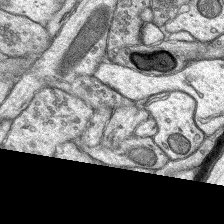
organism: Rat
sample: Hippocampus